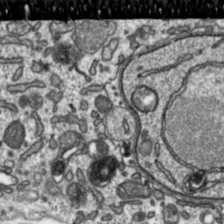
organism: Toxoplasma gondii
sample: Parasites in a vacuole inside a host cell